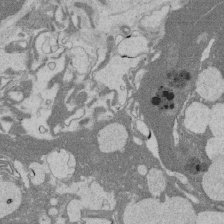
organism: Rat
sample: Salivary granule